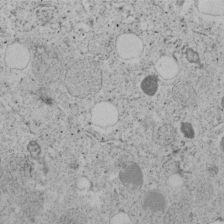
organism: C. elegans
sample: C. elegans embryo early stage